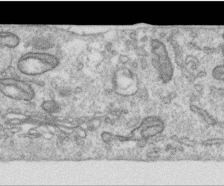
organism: Human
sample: Centriole in RPE cells